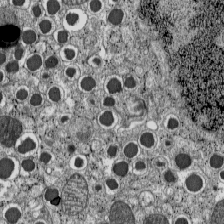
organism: C57BL Mouse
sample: Pancreatic islet